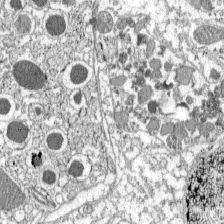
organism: C57BL Mouse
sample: Pancreatic islet